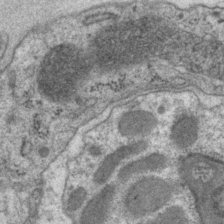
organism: P. pacificus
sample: Pharynx